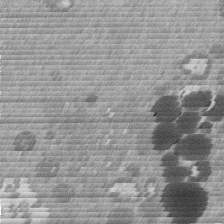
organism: Mouse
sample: Dividing mouse embryo 1 cell stage